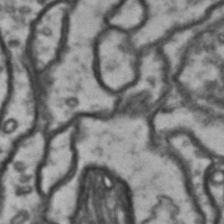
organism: Drosophila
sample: Brain